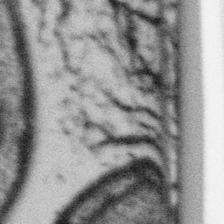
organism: Gemmata obscuriglobus